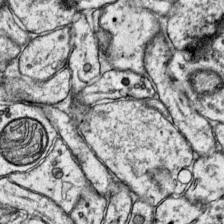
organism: Mouse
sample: Primary visual cortex